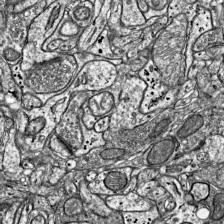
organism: Mouse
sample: Visual Cortex